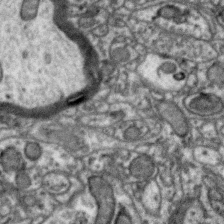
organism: Zebra finch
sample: Brain